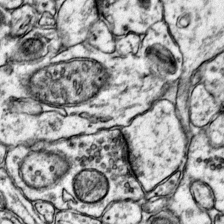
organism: Mouse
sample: Primary visual cortex